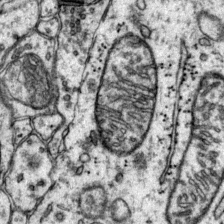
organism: Mouse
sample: Primary visual cortex